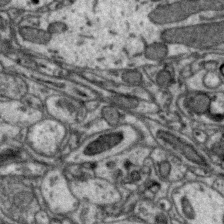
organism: Zebra finch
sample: Brain